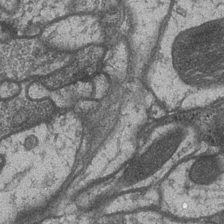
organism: Drosophila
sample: Optic medulla